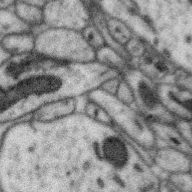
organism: Zebra finch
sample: Brain